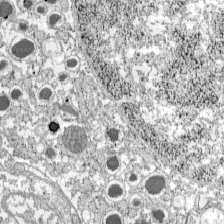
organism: C57BL Mouse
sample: Pancreatic islet